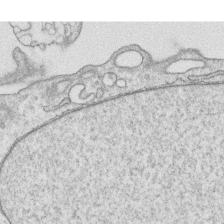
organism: Human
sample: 1205lu cells